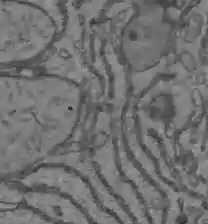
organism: C57BL Mouse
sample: Liver